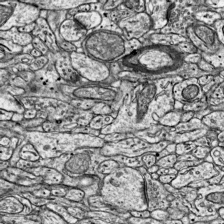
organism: Mouse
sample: Visual Cortex